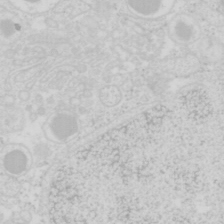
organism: Mouse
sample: Pancreas